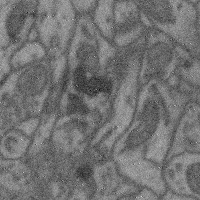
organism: Mouse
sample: Cerebral cortex